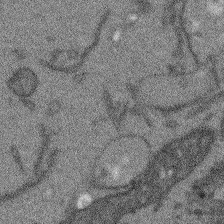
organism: Arabidopsis thaliana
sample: Root tip